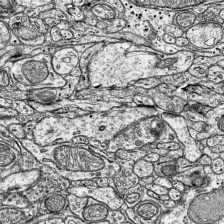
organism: Mouse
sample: Visual Cortex